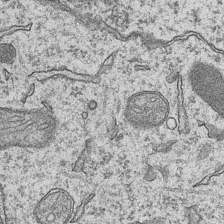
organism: Mouse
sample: CA1 Hippocampus